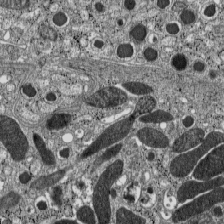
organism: C57BL Mouse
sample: Pancreatic islet